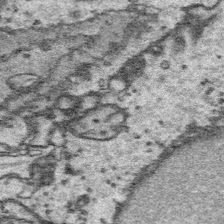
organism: Platynereis dumerilii